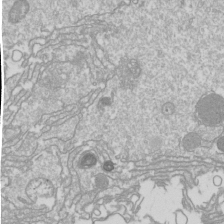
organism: Drosophila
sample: Cell division; meiosis; drosophila spermatocytes